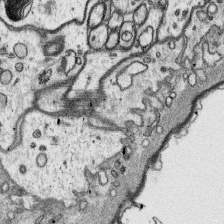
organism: Platynereis dumerilii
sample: Parapodia